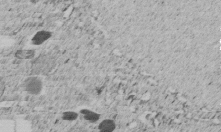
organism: C. elegans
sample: C. elegans embryo early stage